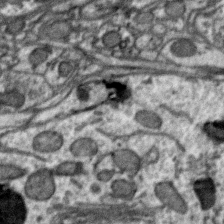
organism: Zebra finch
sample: Brain